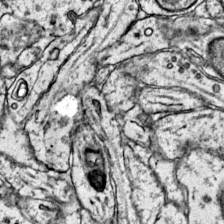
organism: Mouse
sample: Primary visual cortex